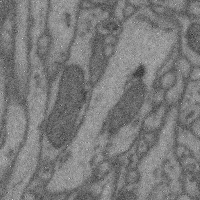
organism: Mouse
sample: Cerebral cortex